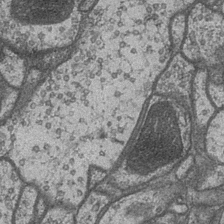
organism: Drosophila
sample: Optic medulla